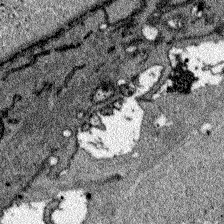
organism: Zebrafish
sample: Larval olfactory bulb